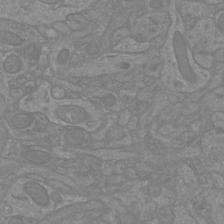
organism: Mouse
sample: Cortical neurons